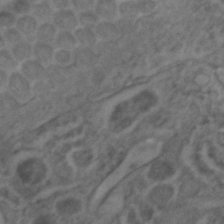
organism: C. elegans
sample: C. elegans embryo